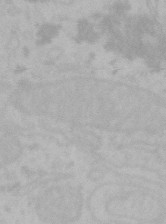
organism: Mouse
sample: Choroid plexus